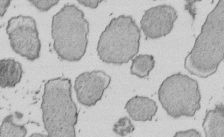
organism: E. coli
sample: Bacterial nucleoid